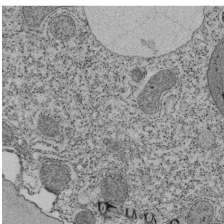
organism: Tetrahymena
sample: Cilia in tetrahymena